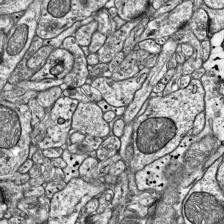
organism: Mouse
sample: Visual Cortex